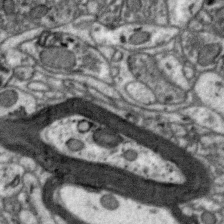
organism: Zebra finch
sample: Brain